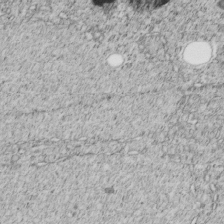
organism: C. elegans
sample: C. elegans embryo early stage